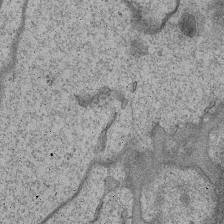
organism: Mouse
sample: CA1 Hippocampus